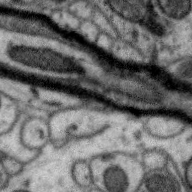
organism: Zebra finch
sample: Brain